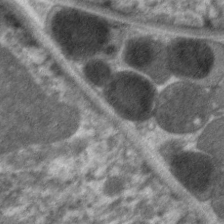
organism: C. elegans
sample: Pharynx